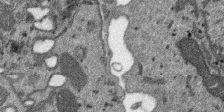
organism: Human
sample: Lung epithelial cells infected with SARS-CoV-2